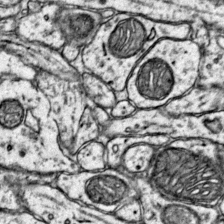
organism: Mouse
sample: Primary visual cortex